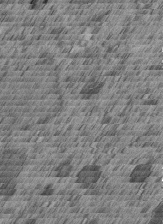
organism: C. elegans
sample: C. elegans embryo early stage